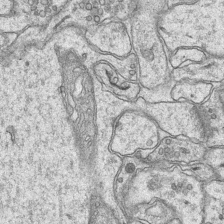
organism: Mouse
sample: CA1 Hippocampus